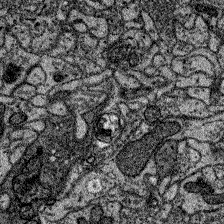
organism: Zebrafish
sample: Larval olfactory bulb